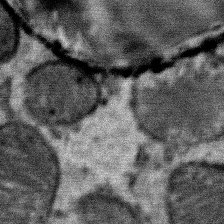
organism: Mouse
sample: Mouse Salivary gland